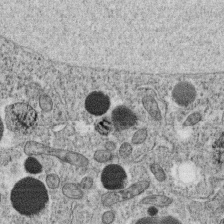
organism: C. elegans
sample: C. elegans oocyte; sperm cells